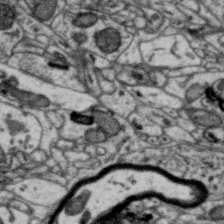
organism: Zebra finch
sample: Brain